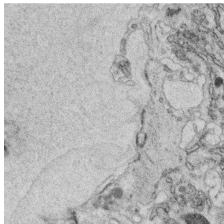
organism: C. elegans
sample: C. elegans oocyte; sperm cells